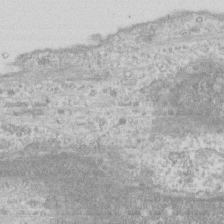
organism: Human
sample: Fibroblast cells